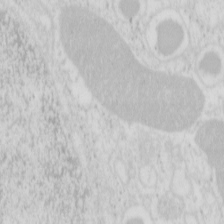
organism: Mouse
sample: Pancreas